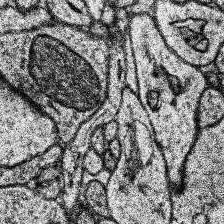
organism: Human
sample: Temporal Lobe